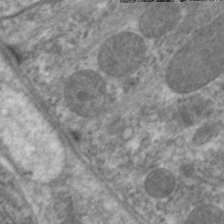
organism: C. elegans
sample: Pharynx